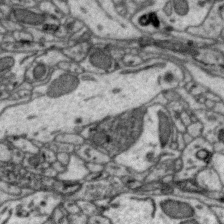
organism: Zebra finch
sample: Brain